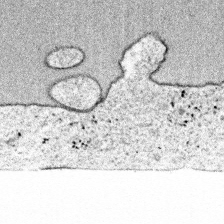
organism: Human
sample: HeLa cells